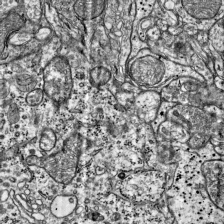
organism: Mouse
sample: Visual Cortex